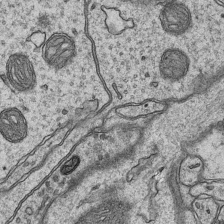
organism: Mouse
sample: CA1 Hippocampus